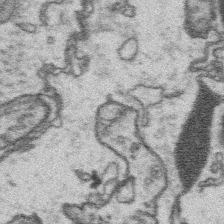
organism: Platynereis dumerilii